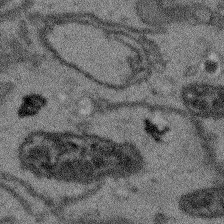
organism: Arabidopsis thaliana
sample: Root tip